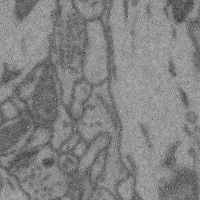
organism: Mouse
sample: Cerebral cortex